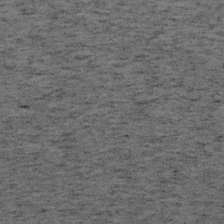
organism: Mouse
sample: OT-I killer T cells with ID8 ovarian cancer cells